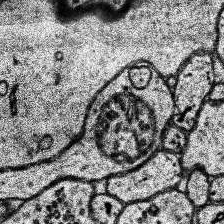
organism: Human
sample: Temporal Lobe